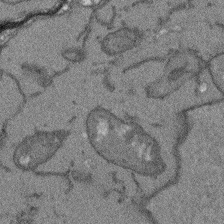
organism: Arabidopsis thaliana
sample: Root tip